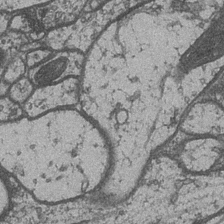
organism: Drosophila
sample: Optic medulla